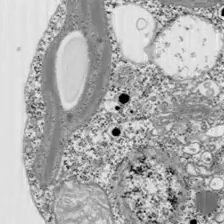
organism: Chlamydomonas reinhardtii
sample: Whole Cell